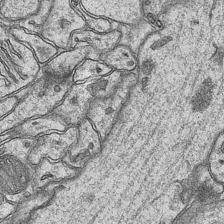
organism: Mouse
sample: CA1 Hippocampus